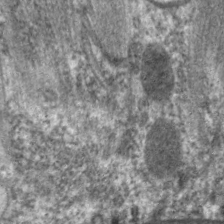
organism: C. elegans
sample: Pharynx